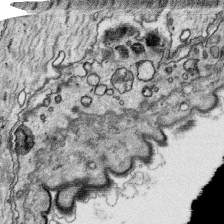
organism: Platynereis dumerilii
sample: Parapodia